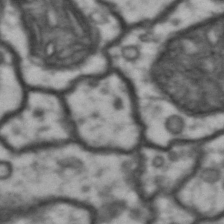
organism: Drosophila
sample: Brain